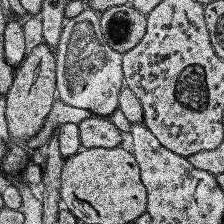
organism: Human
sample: Temporal Lobe